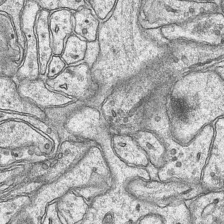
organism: Mouse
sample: CA1 Hippocampus